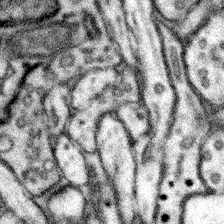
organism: Mouse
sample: Somatosensory cortex neuropil